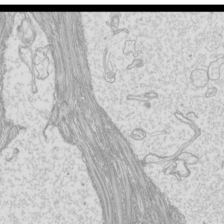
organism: Mouse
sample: Cilia; mouse epididymis